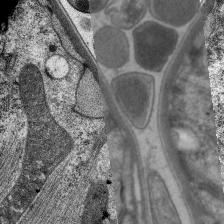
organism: C. elegans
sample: Pharynx